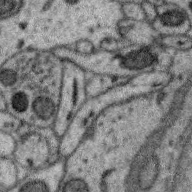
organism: Zebra finch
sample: Brain